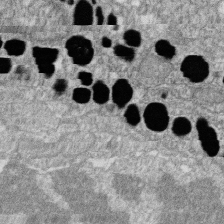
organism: Zebrafish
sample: Cilia; retinal pigment epithelium